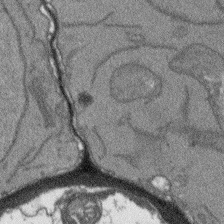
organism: Arabidopsis thaliana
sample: Root tip